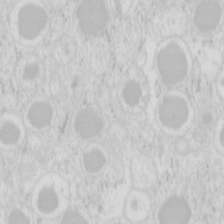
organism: Mouse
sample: Pancreas